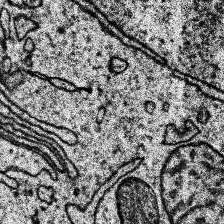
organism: Human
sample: Temporal Lobe